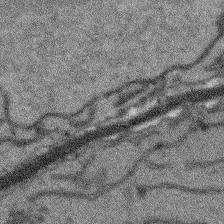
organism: Arabidopsis thaliana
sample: Root tip